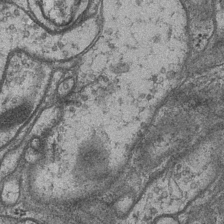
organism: Drosophila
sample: Optic medulla